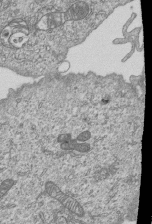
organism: Human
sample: MDA-MB-231 cells